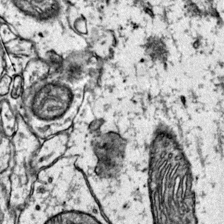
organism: Mouse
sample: Primary visual cortex